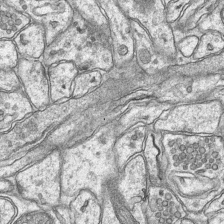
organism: Mouse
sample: CA1 Hippocampus